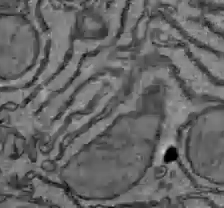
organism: C57BL Mouse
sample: Liver